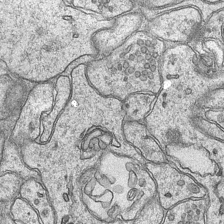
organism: Mouse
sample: CA1 Hippocampus